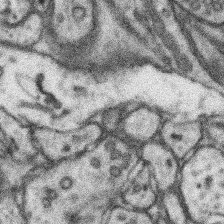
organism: Mouse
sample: Somatosensory cortex neuropil